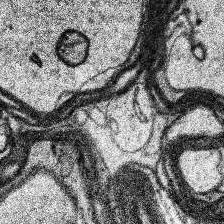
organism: Human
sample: Temporal Lobe